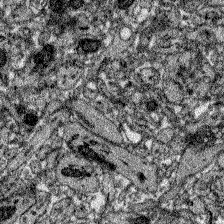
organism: Zebrafish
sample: Larval olfactory bulb